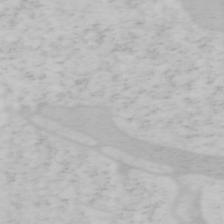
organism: Mouse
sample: OT-I killer T cells with ID8 ovarian cancer cells